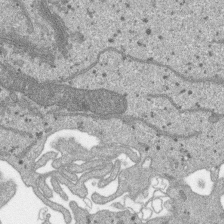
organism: Human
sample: Lung epithelial cells infected with SARS-CoV-2